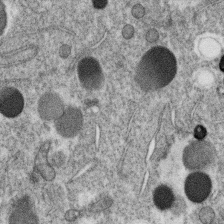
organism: C. elegans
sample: C. elegans oocyte; sperm cells